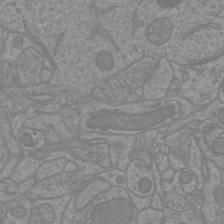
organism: Mouse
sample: Cortical neurons